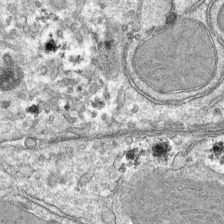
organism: Mouse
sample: Mouse hepatocytes